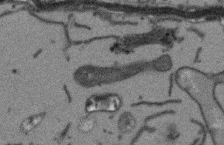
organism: Arabidopsis thaliana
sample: Root tip